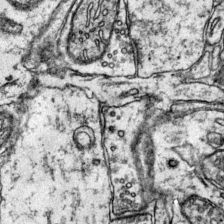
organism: Mouse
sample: Primary visual cortex